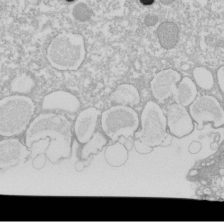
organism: Xenopus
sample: Cilia; centrioles in frog embryo cells